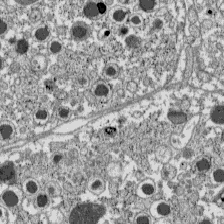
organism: C57BL Mouse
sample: Pancreatic islet